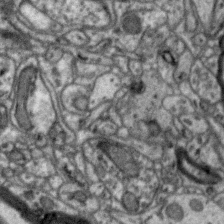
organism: Zebra finch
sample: Brain